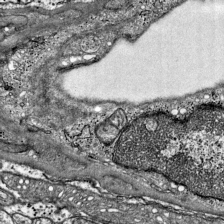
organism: Mouse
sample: Visual Cortex